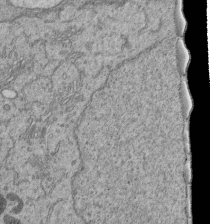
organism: Human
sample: Retinal organoid Rod and Cone cells